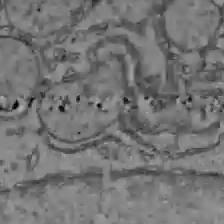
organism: C57BL Mouse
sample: Liver